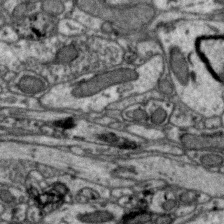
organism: Zebra finch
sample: Brain